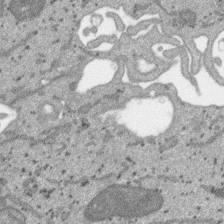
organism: Human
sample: Lung epithelial cells infected with SARS-CoV-2